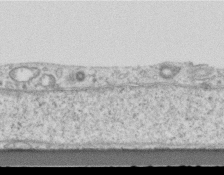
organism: Mouse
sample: Centriole in ependymal cells